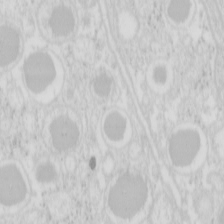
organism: Mouse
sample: Pancreas